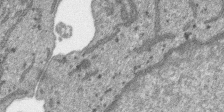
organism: Human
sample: Lung epithelial cells infected with SARS-CoV-2